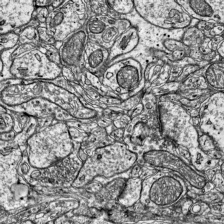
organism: Mouse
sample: Visual Cortex